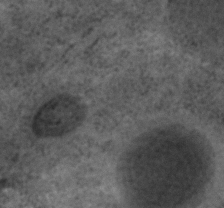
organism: C. elegans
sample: C. elegans embryo